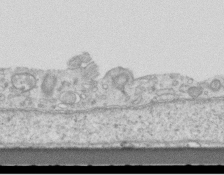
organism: Mouse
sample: Centriole in ependymal cells